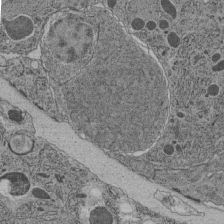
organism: C. elegans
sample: C. elegans pharynx